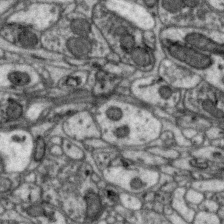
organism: Zebra finch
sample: Brain